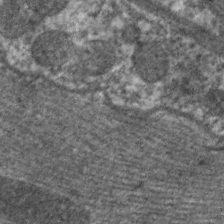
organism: C. elegans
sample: Pharynx